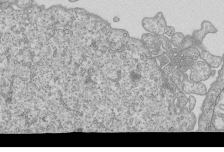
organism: Human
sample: MDA-MB-231 cells